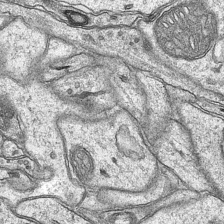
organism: Mouse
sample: CA1 Hippocampus